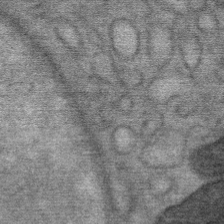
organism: Mouse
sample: Mouse Salivary gland